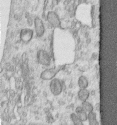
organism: Human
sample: Centriole in RPE cells